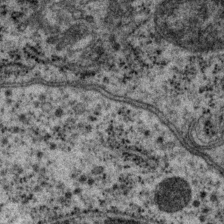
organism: P. pacificus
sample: Pharynx